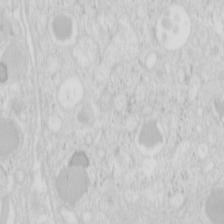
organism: Mouse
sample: Pancreas